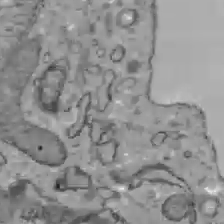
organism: C57BL Mouse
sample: Liver